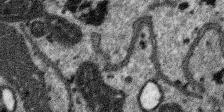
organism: Human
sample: Lung epithelial cells infected with SARS-CoV-2